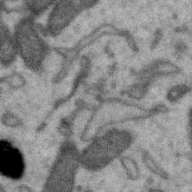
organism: Zebra finch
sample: Brain